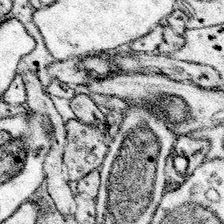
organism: Mouse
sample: Somatosensory cortex neuropil